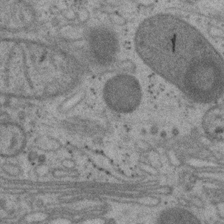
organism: Human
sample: HeLa cells